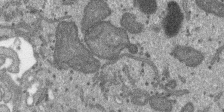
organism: Human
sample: Lung epithelial cells infected with SARS-CoV-2